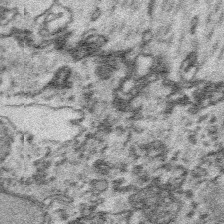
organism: Platynereis dumerilii